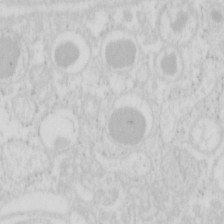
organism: Mouse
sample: Pancreas